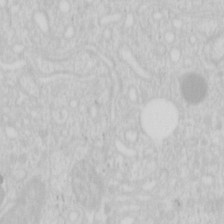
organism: Mouse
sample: Pancreas